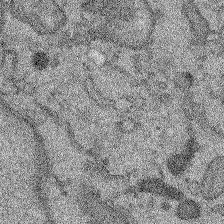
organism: Human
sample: HeLa cells